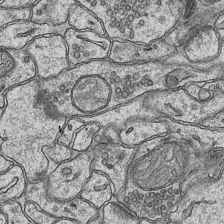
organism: Mouse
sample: CA1 Hippocampus